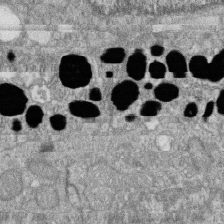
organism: Zebrafish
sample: Cilia; retinal pigment epithelium